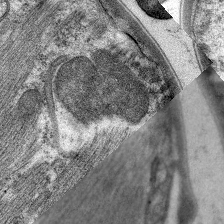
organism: C. elegans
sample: Pharynx